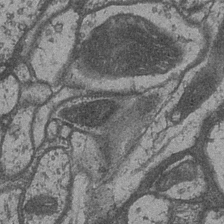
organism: Drosophila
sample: Optic medulla